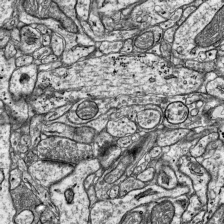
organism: Mouse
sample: Visual Cortex